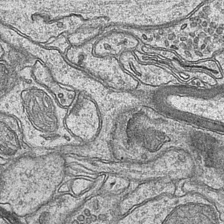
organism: Mouse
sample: CA1 Hippocampus